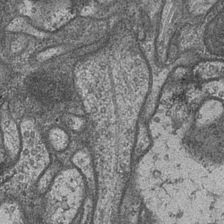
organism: Drosophila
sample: Optic medulla